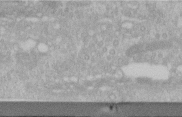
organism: Human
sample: Centriole in RPE cells